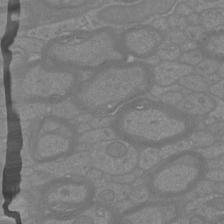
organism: Mouse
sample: Cortical neurons